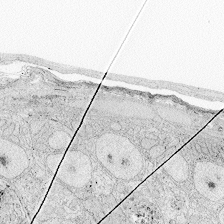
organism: Zebrafish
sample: Whole-Brain